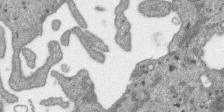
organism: Human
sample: Lung epithelial cells infected with SARS-CoV-2